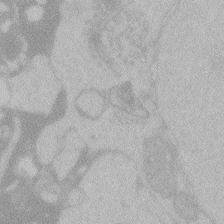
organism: Zebrafish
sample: Macrophage infected with Toxoplasma gondii